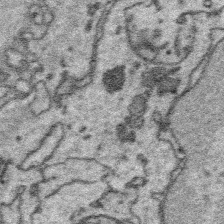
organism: Platynereis dumerilii